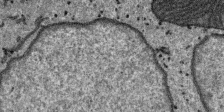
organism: Human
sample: Lung epithelial cells, uninfected (mock) control